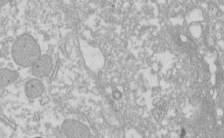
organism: Xenopus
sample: Cilia; centrioles in frog embryo cells